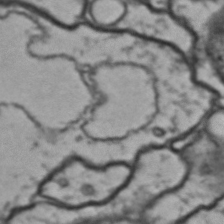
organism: Drosophila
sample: Brain